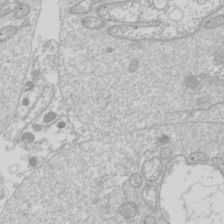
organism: Drosophila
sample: Cell division; meiosis; drosophila spermatocytes